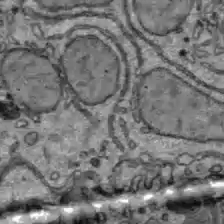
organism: C57BL Mouse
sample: Liver